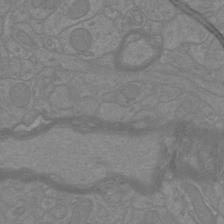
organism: Mouse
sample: Cortical neurons